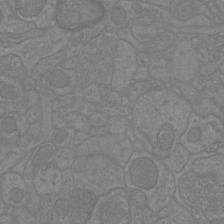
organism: Mouse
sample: Cortical neurons